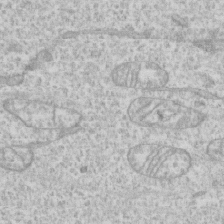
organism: Human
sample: CRL-1474